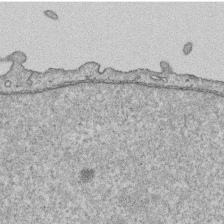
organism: Human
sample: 1205lu cells